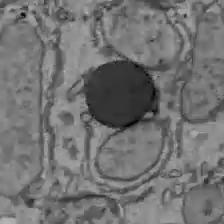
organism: C57BL Mouse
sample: Liver